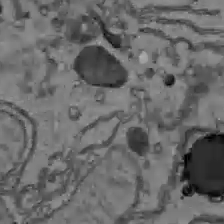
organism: C57BL Mouse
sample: Liver